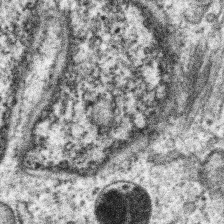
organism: Human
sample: HeLa cells